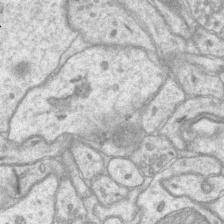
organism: Mouse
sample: CA1 Hippocampus